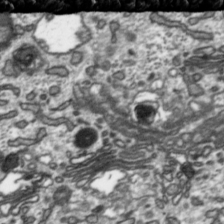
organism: Toxoplasma gondii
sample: Parasites in a vacuole inside a host cell